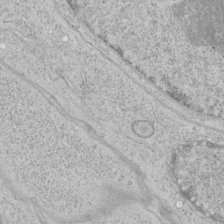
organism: Human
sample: Mitochondria in HCT116 cells